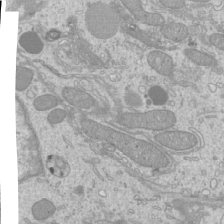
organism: Mouse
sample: Cilia; mouse epididymis